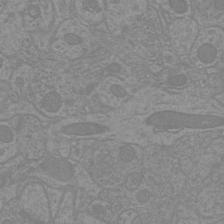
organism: Mouse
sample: Cortical neurons